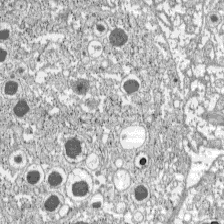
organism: C57BL Mouse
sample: Pancreatic islet